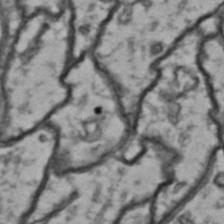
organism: Drosophila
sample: Brain